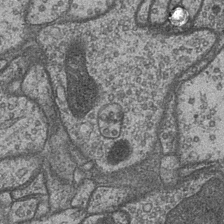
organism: Drosophila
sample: Optic medulla